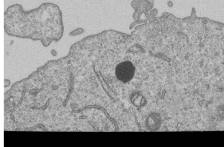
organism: Human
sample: MDA-MB-231 cells